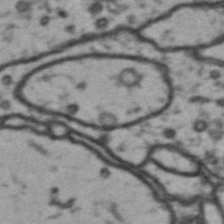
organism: Drosophila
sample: Brain